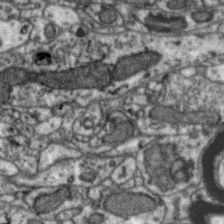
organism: Zebra finch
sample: Brain